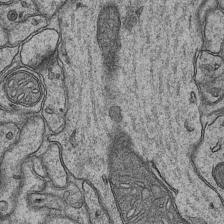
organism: Mouse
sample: CA1 Hippocampus